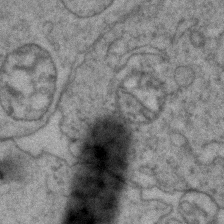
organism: Zebrafish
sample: Zebrafish embryo